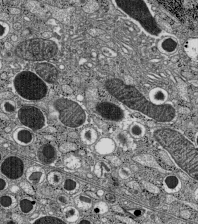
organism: C57BL Mouse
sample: Pancreatic islet